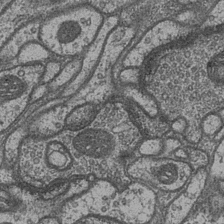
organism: Drosophila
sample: Optic medulla